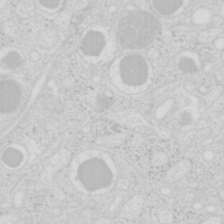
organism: Mouse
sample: Pancreas